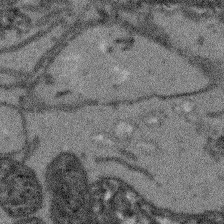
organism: Arabidopsis thaliana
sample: Root tip